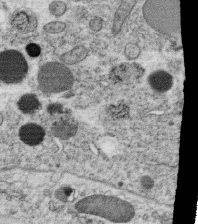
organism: C. elegans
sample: C. elegans oocyte; sperm cells